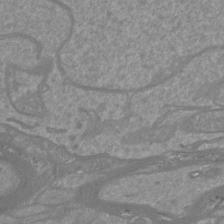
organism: Mouse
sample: Cortical neurons